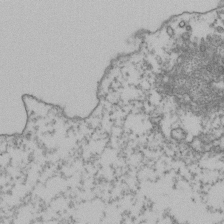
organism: Human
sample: Activated Jurkat CD4+ T cells